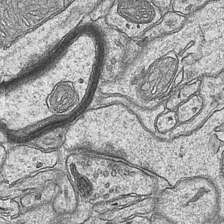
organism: Mouse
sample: CA1 Hippocampus